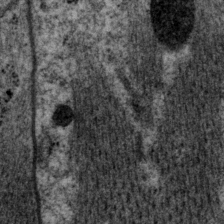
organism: P. pacificus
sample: Pharynx